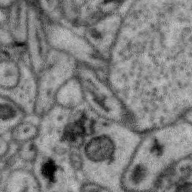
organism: Zebra finch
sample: Brain